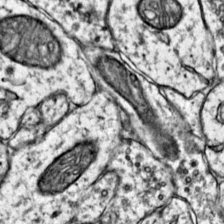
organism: Mouse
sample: Primary visual cortex